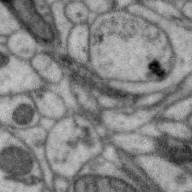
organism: Zebra finch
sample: Brain